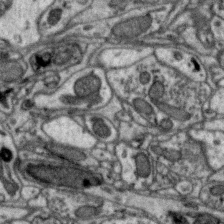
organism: Zebra finch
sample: Brain